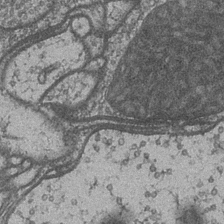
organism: Drosophila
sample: Optic medulla